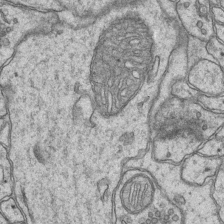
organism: Mouse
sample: CA1 Hippocampus